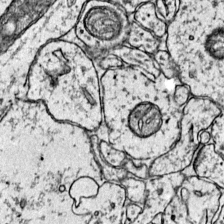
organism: Mouse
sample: Primary visual cortex